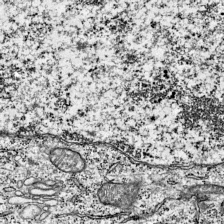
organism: Mouse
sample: Visual Cortex